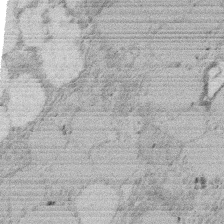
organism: Rat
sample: Salivary granule